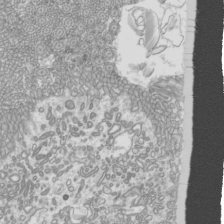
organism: Mouse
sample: Cilia; mouse epididymis